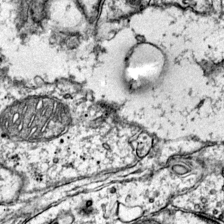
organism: Mouse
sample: Primary visual cortex